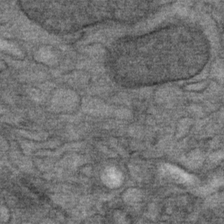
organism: Mouse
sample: Mouse Salivary gland